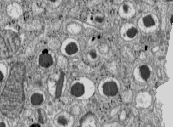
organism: C57BL Mouse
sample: Pancreatic islet